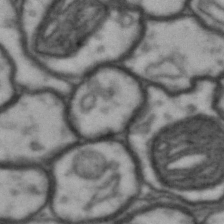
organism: Drosophila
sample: Brain